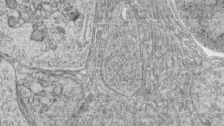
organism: Zebrafish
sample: synaptic ribbons in rod cells and cone cells